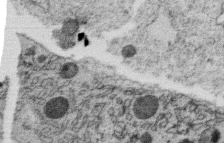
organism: C. elegans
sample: C. elegans oocyte; sperm cells